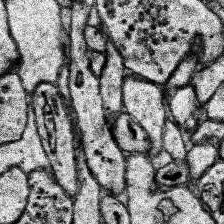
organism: Human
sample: Temporal Lobe